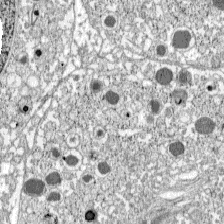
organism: C57BL Mouse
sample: Pancreatic islet